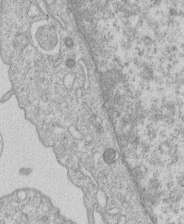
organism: Human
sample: Macrophage cells